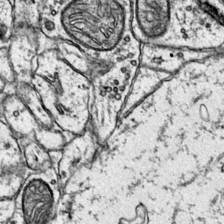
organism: Mouse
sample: Primary visual cortex